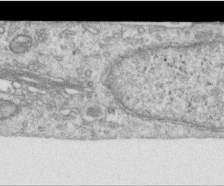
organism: Human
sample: Centriole in RPE cells